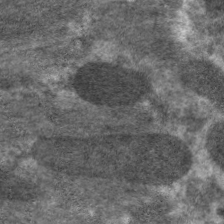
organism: C. elegans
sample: Pharynx